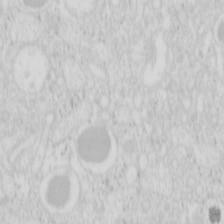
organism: Mouse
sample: Pancreas